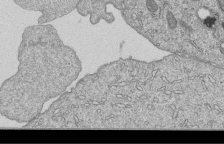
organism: Human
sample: MDA-MB-231 cells